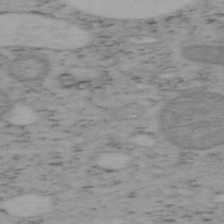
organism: Mouse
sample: OT-I killer T cells with ID8 ovarian cancer cells